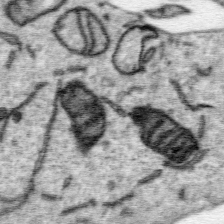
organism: Human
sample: HeLa cells